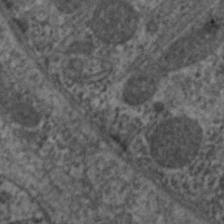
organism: C. elegans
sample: Pharynx